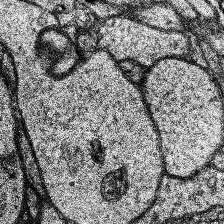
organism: Human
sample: Temporal Lobe